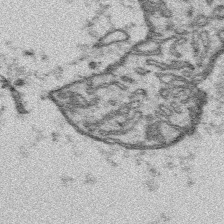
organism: Platynereis dumerilii